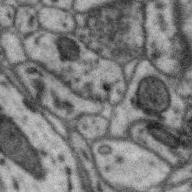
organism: Zebra finch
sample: Brain